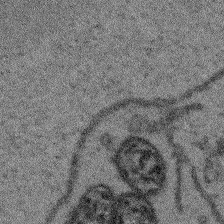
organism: Arabidopsis thaliana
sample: Root tip